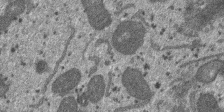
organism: Human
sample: Lung epithelial cells infected with SARS-CoV-2